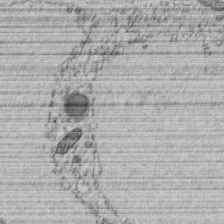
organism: C. elegans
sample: C. elegans embryo early stage